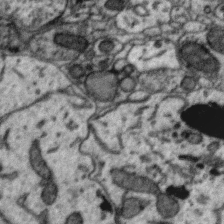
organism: Zebra finch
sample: Brain